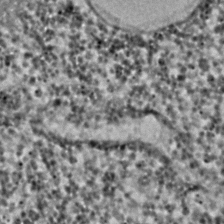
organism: C. elegans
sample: C. elegans embryo